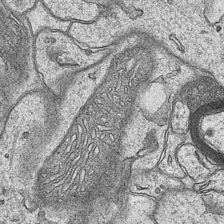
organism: Mouse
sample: CA1 Hippocampus